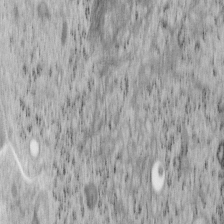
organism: Human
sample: HeLa cells